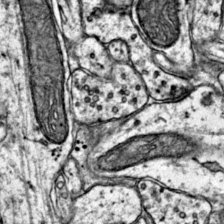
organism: Mouse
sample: Primary visual cortex